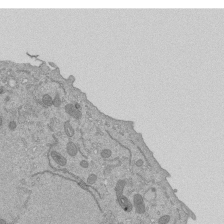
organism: Mouse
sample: ED-1 cell nuclei; centrioles